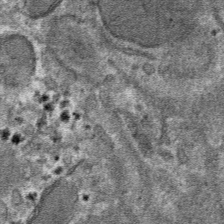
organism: Mouse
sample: Mouse hepatocytes